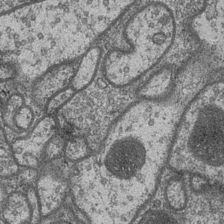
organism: Drosophila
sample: Optic medulla